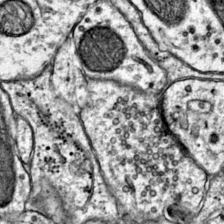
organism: Mouse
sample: Primary visual cortex